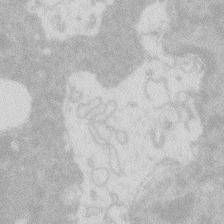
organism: Zebrafish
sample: Macrophage